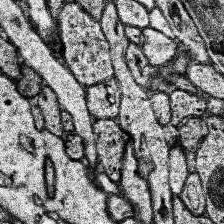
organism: Human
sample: Temporal Lobe